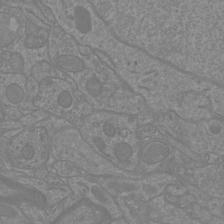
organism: Mouse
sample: Cortical neurons